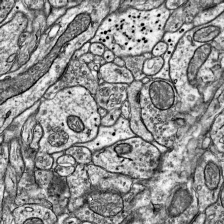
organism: Mouse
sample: Visual Cortex